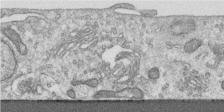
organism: Human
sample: Centriole in RPE cells